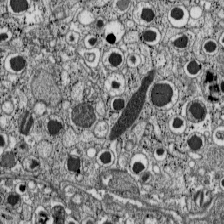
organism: C57BL Mouse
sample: Pancreatic islet